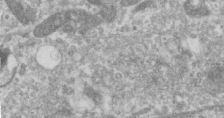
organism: Human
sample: Centriole in RPE cells